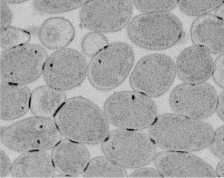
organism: E. coli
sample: Bacterial nucleoid